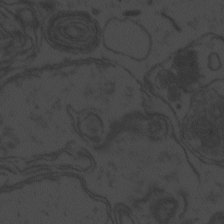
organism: Zebrafish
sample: Macrophage infected with Toxoplasma gondii